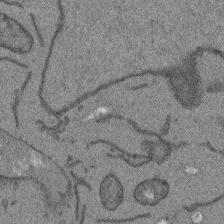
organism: Arabidopsis thaliana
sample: Root tip